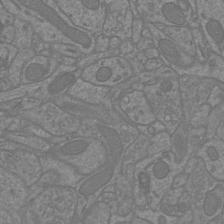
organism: Mouse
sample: Cortical neurons